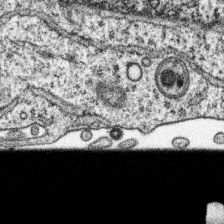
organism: Human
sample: HeLa cells